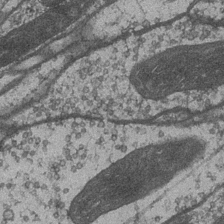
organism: Drosophila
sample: Optic medulla